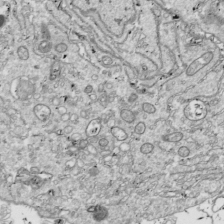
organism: Drosophila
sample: Cell division; meiosis; drosophila spermatocytes